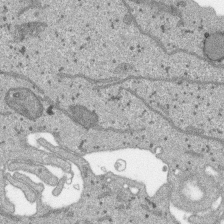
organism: Human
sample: Lung epithelial cells infected with SARS-CoV-2